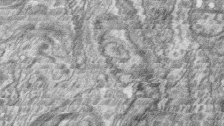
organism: Zebrafish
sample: synaptic ribbons in rod cells and cone cells